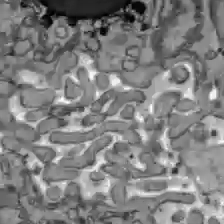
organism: C57BL Mouse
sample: Liver